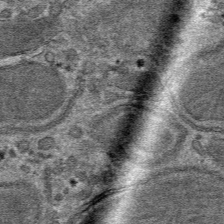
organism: Mouse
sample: Mouse hepatocytes